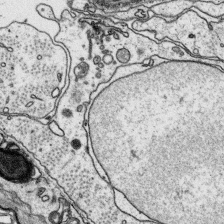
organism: Platynereis dumerilii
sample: Parapodia